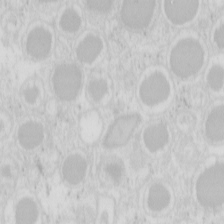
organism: Mouse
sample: Pancreas